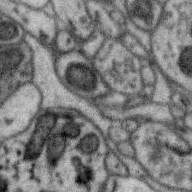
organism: Zebra finch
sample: Brain